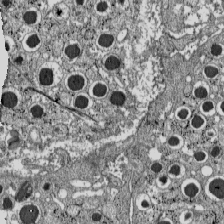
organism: C57BL Mouse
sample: Pancreatic islet